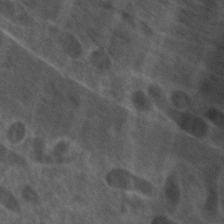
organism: Zebrafish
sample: Zebrafish embryo